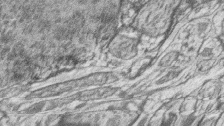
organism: Zebrafish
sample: synaptic ribbons in rod cells and cone cells